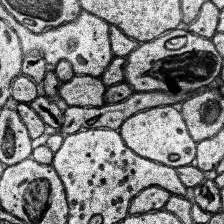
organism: Human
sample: Temporal Lobe